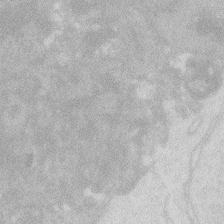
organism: Zebrafish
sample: Macrophage